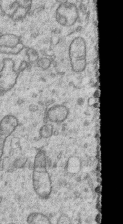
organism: Human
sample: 1205lu cells